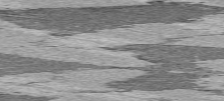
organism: C57BL Mouse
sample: Heart